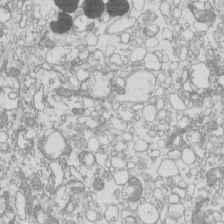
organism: Mouse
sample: Macrophages